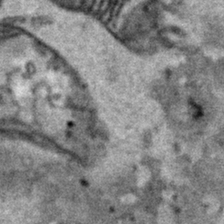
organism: Human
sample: Mitochondria in HCT116 cells